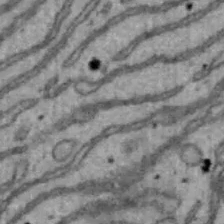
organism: Mouse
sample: Liver